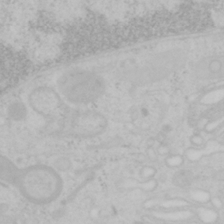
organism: Mouse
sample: OT-I killer T cells with ID8 ovarian cancer cells